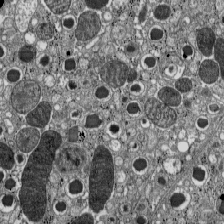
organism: C57BL Mouse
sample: Pancreatic islet